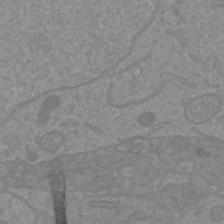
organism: Mouse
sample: Cortical neurons